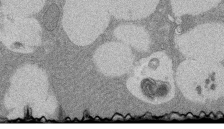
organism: Rat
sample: Salivary granule